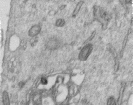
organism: Human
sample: Centriole in RPE cells